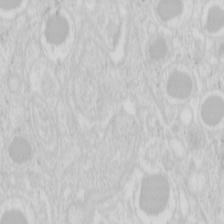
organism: Mouse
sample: Pancreas